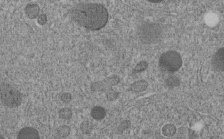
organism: C. elegans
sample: C. elegans embryo early stage